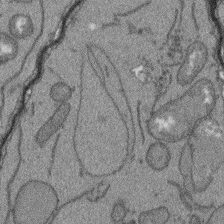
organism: Arabidopsis thaliana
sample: Root tip